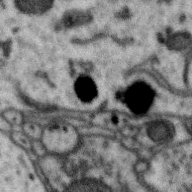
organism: Zebra finch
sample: Brain